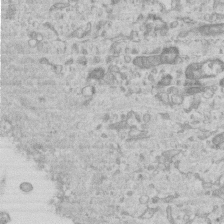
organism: Mouse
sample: Centriole in ependymal cells